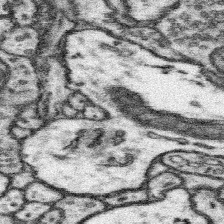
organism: Mouse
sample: Somatosensory cortex neuropil